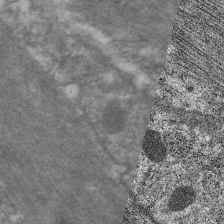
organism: C. elegans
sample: Pharynx